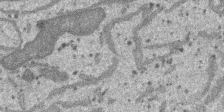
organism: Human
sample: Lung epithelial cells infected with SARS-CoV-2